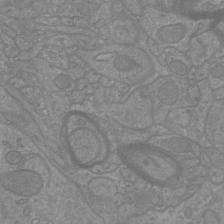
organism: Mouse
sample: Cortical neurons